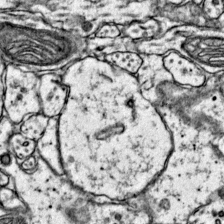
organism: Mouse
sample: Primary visual cortex